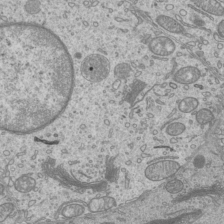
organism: Mouse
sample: Cilia; mouse epididymis